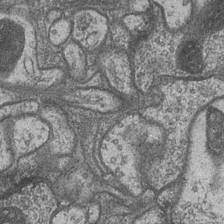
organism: Drosophila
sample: Optic medulla